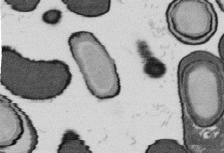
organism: B. subtilis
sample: Bacterial spore